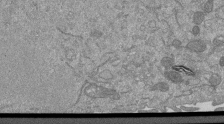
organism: Mouse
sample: ED-1 cell nuclei; centrioles